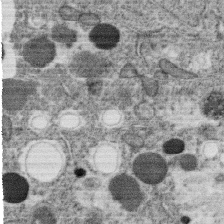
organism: C. elegans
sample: C. elegans oocyte; sperm cells